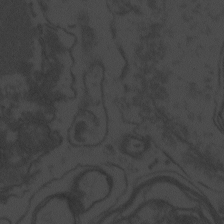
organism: Zebrafish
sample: Macrophage infected with Toxoplasma gondii